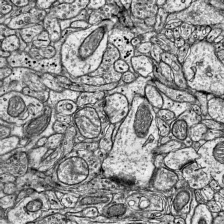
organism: Mouse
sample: Visual Cortex